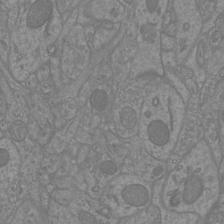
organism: Mouse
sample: Cortical neurons